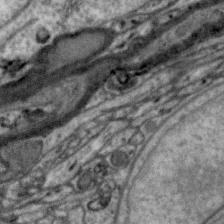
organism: Zebra finch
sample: Brain